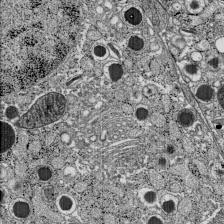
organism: C57BL Mouse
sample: Pancreatic islet